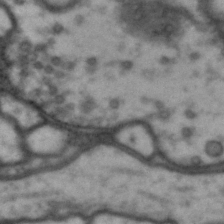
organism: Drosophila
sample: Brain